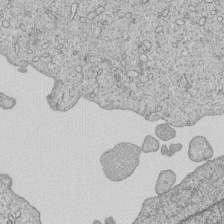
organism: Human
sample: MDA-MB-231 cells